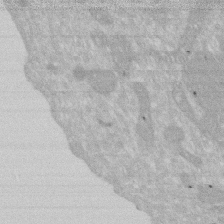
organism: Human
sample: HIV infected U937 cells